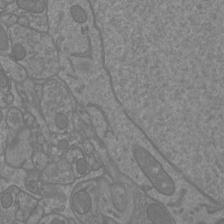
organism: Mouse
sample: Cortical neurons